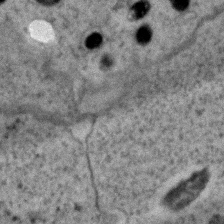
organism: Zebrafish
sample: Zebrafish embryo